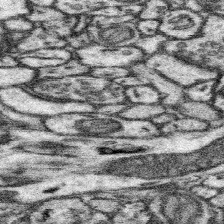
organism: Mouse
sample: Somatosensory cortex neuropil